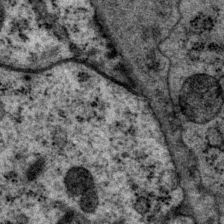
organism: P. pacificus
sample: Pharynx